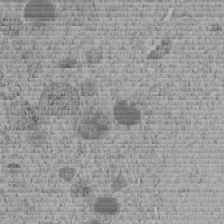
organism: C. elegans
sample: C. elegans embryo early stage